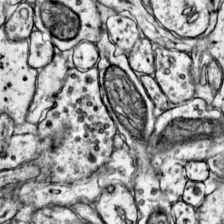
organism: Mouse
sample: Primary visual cortex